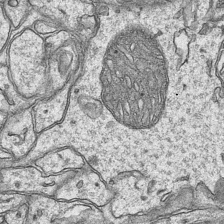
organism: Mouse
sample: CA1 Hippocampus